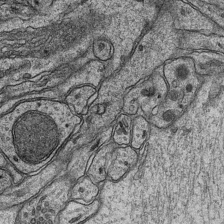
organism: Mouse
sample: CA1 Hippocampus